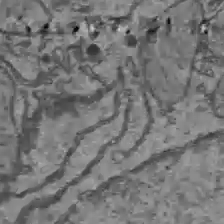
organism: C57BL Mouse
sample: Liver